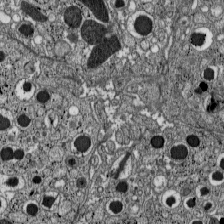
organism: C57BL Mouse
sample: Pancreatic islet